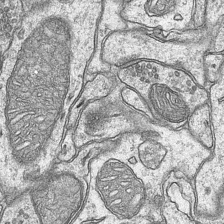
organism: Mouse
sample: CA1 Hippocampus